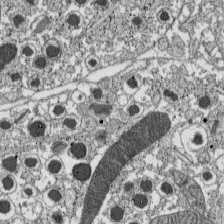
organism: C57BL Mouse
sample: Pancreatic islet